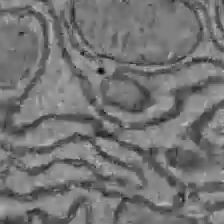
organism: C57BL Mouse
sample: Liver